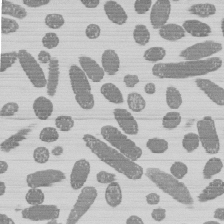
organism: E. coli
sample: Bacterial nucleoid